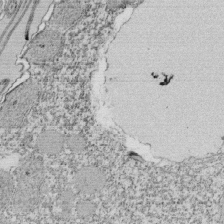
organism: Tetrahymena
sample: Cilia in tetrahymena